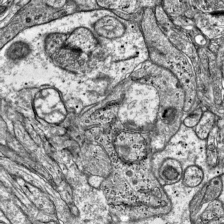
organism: Mouse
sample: Visual Cortex